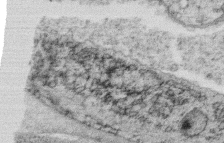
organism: C. elegans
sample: C. elegans oocyte; sperm cells